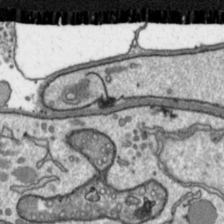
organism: Toxoplasma gondii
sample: Parasites in a vacuole inside a host cell